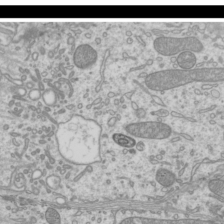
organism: Mouse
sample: Cilia; mouse epididymis